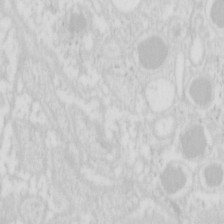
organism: Mouse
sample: Pancreas